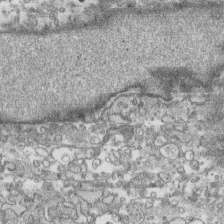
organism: Human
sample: CRL-1474